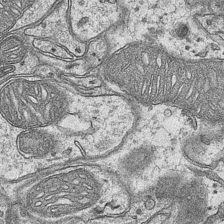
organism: Mouse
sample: CA1 Hippocampus